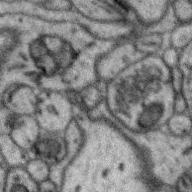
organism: Zebra finch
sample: Brain